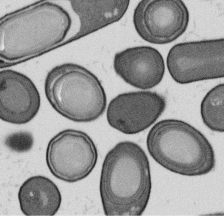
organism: B. subtilis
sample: Bacterial spore